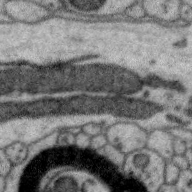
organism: Zebra finch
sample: Brain